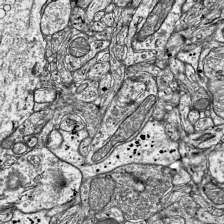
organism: Mouse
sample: Visual Cortex